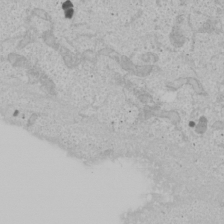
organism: Human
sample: Mitochondria in U2OS cells